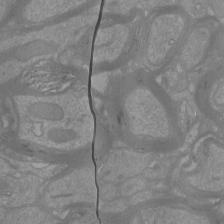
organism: Mouse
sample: Cortical neurons